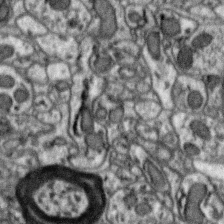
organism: Zebra finch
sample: Brain